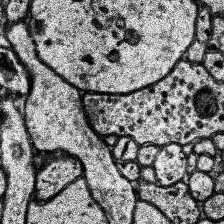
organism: Human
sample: Temporal Lobe